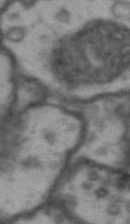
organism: Drosophila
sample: Brain